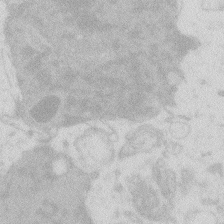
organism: Zebrafish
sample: Macrophage